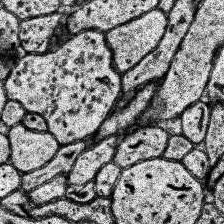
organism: Human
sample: Temporal Lobe